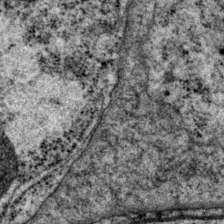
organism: P. pacificus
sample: Pharynx